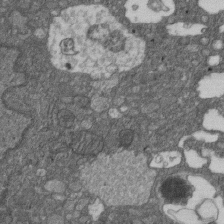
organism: Drosophila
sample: Nephrocyte